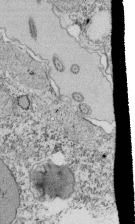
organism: Tetrahymena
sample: Cilia in tetrahymena